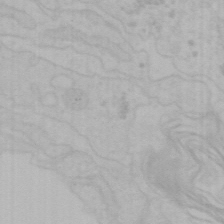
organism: Mouse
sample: Choroid plexus